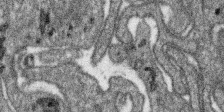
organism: Human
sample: Lung epithelial cells infected with SARS-CoV-2